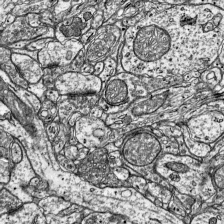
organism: Mouse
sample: Visual Cortex